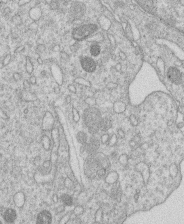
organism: Human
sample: Macrophage cells